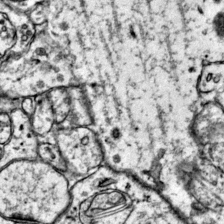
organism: Mouse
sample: Primary visual cortex